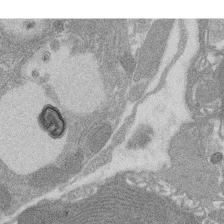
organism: Rat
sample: Salivary granule